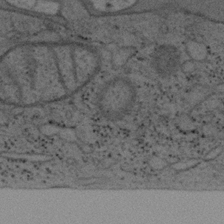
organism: Human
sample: HeLa cells